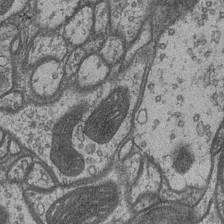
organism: Drosophila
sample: Optic medulla